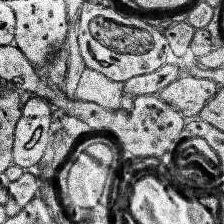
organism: Human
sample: Temporal Lobe